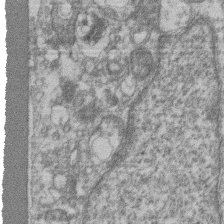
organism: Mouse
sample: T cell stromal cell synapse